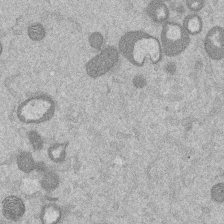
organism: Mouse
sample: Dividing mouse embryo 1 cell stage